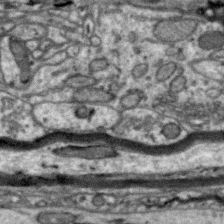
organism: Zebra finch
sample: Brain